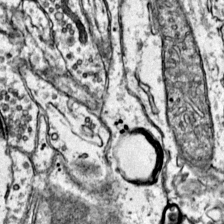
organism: Mouse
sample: Primary visual cortex